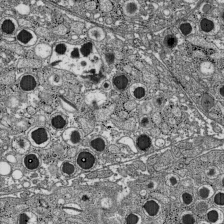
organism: C57BL Mouse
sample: Pancreatic islet